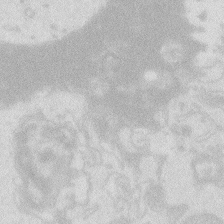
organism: Zebrafish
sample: Macrophage